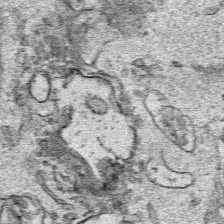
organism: Human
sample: Mitochondria in HCT116 cells